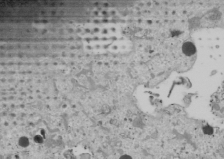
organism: Human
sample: Mitochondria in U2OS cells